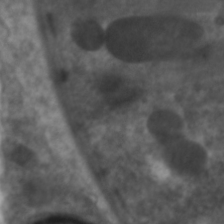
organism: C. elegans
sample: Pharynx